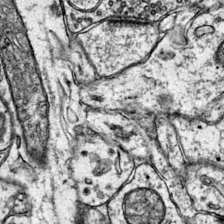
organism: Mouse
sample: Primary visual cortex